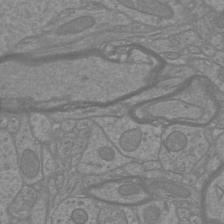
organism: Mouse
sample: Cortical neurons